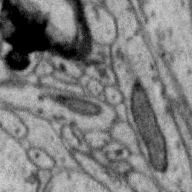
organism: Zebra finch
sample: Brain